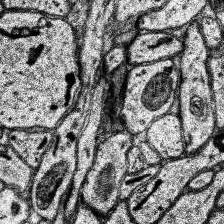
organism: Human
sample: Temporal Lobe